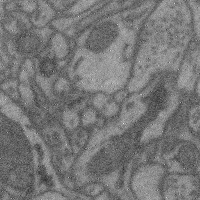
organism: Mouse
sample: Cerebral cortex